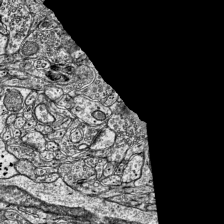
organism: Mouse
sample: Visual Cortex